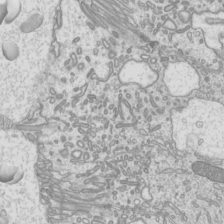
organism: Mouse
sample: Cilia; mouse epididymis